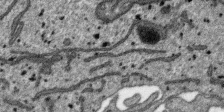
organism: Human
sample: Lung epithelial cells, uninfected (mock) control